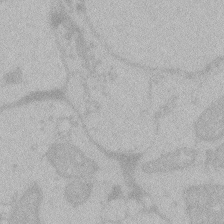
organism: Zebrafish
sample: Macrophage infected with Toxoplasma gondii